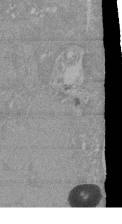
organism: Mouse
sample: ED-1 cell nuclei; centrioles